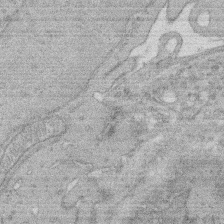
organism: Rat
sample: Salivary granule